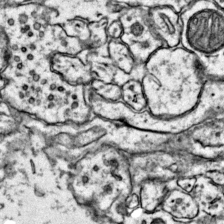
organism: Mouse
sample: Primary visual cortex